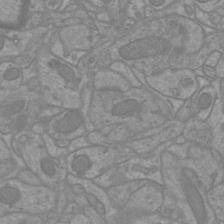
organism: Mouse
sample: Cortical neurons